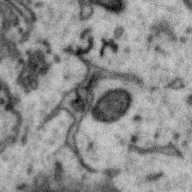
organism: Zebra finch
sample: Brain